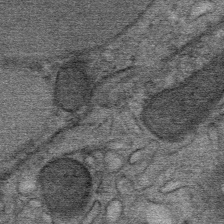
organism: Mouse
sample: Mouse Salivary gland